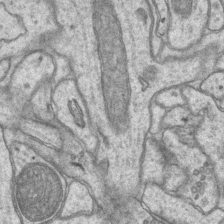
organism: Mouse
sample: CA1 Hippocampus